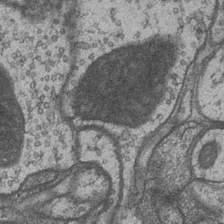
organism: Drosophila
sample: Optic medulla